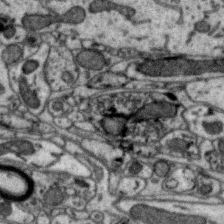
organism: Zebra finch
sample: Brain